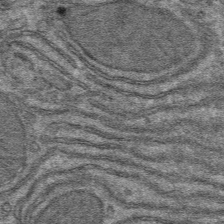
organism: Mouse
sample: Mouse hepatocytes